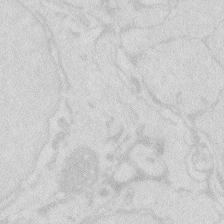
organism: Zebrafish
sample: Macrophage